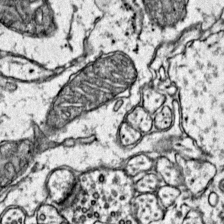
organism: Mouse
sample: Primary visual cortex